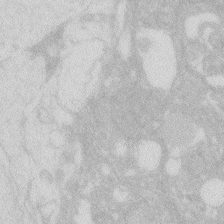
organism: Zebrafish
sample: Macrophage